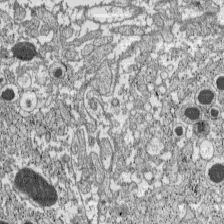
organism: C57BL Mouse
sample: Pancreatic islet